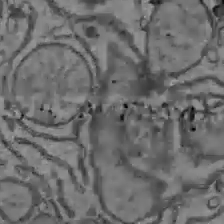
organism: C57BL Mouse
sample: Liver